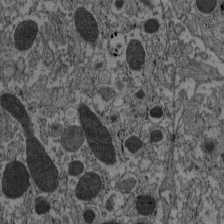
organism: C57BL Mouse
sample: Pancreatic islet